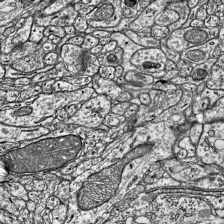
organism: Mouse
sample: Visual Cortex